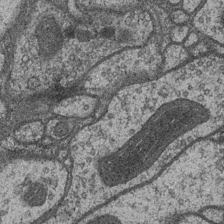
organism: Drosophila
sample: Optic medulla